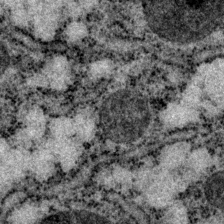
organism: P. pacificus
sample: Pharynx